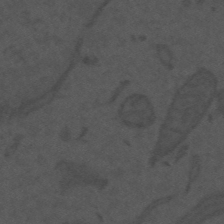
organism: Mouse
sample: Suprachiasmatic nucleus